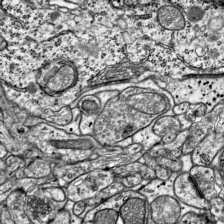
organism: Mouse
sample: Visual Cortex